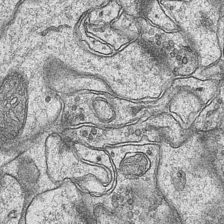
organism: Mouse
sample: CA1 Hippocampus